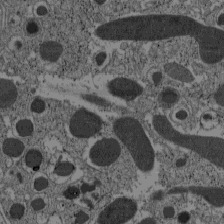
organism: C57BL Mouse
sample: Pancreatic islet